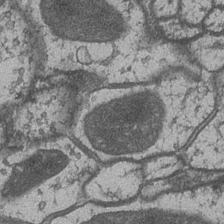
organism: Drosophila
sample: Optic medulla